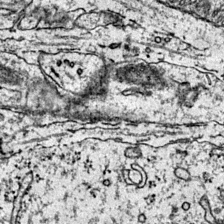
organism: Mouse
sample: Primary visual cortex